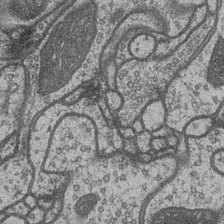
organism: Drosophila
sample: Optic medulla